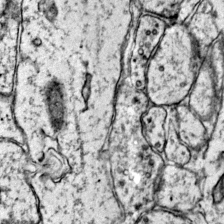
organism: Mouse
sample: Primary visual cortex